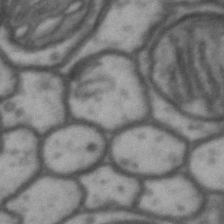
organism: Drosophila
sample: Brain